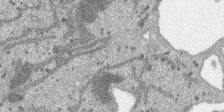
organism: Human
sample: Lung epithelial cells infected with SARS-CoV-2